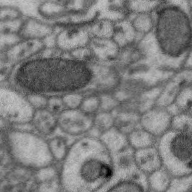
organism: Zebra finch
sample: Brain